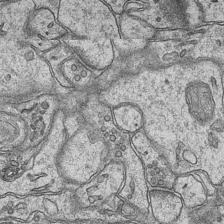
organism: Mouse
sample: CA1 Hippocampus